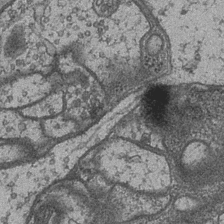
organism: Drosophila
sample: Optic medulla